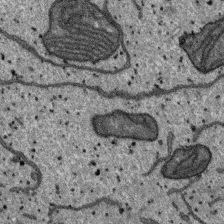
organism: Human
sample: Lung epithelial cells, uninfected (mock) control